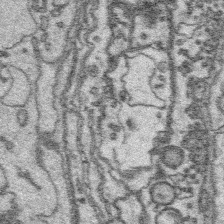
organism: Platynereis dumerilii